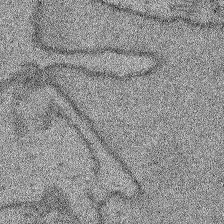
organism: Human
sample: HeLa cells